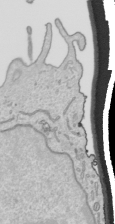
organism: Human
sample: Mitochondria in HCT116 cells